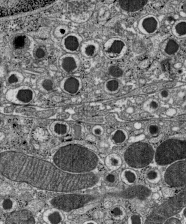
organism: C57BL Mouse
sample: Pancreatic islet